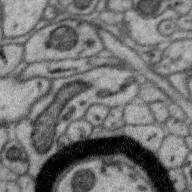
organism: Zebra finch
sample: Brain